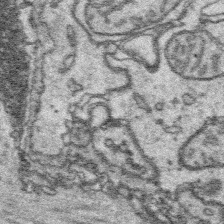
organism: Platynereis dumerilii